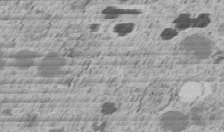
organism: C. elegans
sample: C. elegans embryo early stage